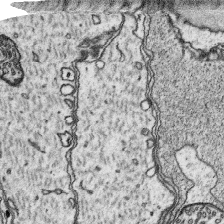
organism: Platynereis dumerilii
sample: Parapodia